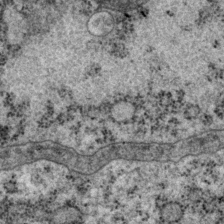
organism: P. pacificus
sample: Pharynx